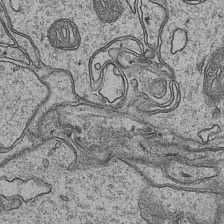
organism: Mouse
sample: CA1 Hippocampus